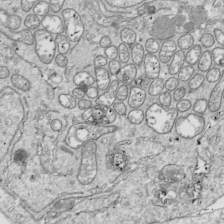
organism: Drosophila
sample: Cell division; meiosis; drosophila spermatocytes